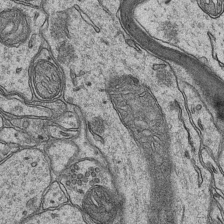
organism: Mouse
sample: CA1 Hippocampus